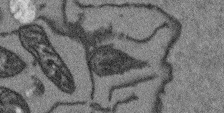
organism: Arabidopsis thaliana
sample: Root tip